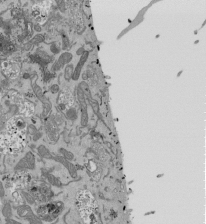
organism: Mouse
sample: ED-1 cell nuclei; centrioles